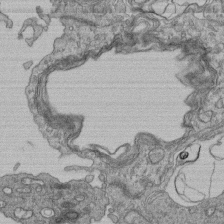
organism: Human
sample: Retinal organoid Rod and Cone cells